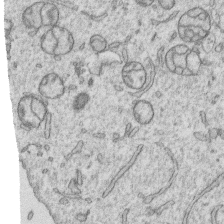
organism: Human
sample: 1205lu cells